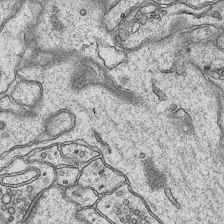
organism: Mouse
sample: CA1 Hippocampus